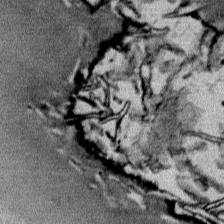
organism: Mouse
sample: Mouse Salivary gland